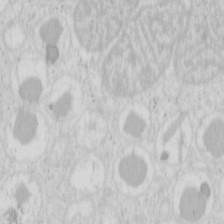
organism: Mouse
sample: Pancreas